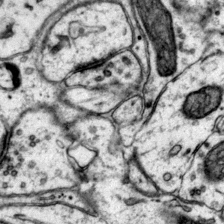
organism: Mouse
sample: Primary visual cortex